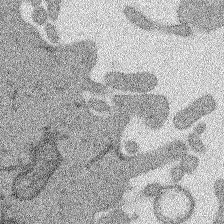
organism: Human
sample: HeLa cells